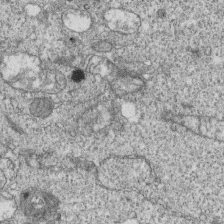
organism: Human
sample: HeLa cell HIV synapse